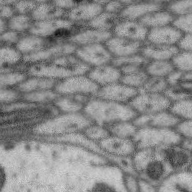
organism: Zebra finch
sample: Brain